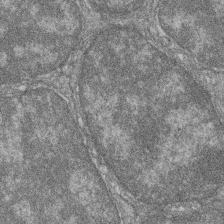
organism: Zebrafish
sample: Cilia; retinal pigment epithelium